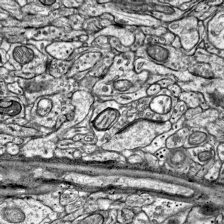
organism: Mouse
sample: Visual Cortex